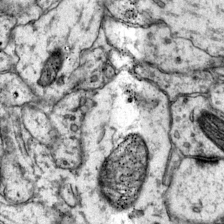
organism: Mouse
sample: Primary visual cortex